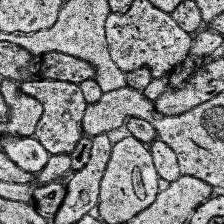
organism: Human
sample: Temporal Lobe